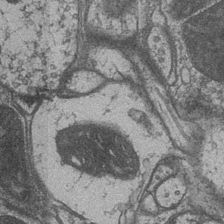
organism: Drosophila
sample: Optic medulla